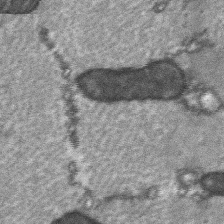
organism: C57BL Mouse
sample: Soleus